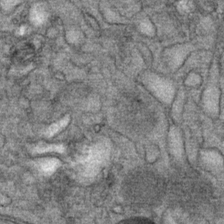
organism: Mouse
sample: Mouse Salivary gland